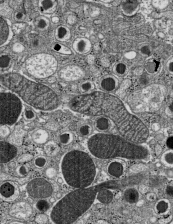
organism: C57BL Mouse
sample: Pancreatic islet